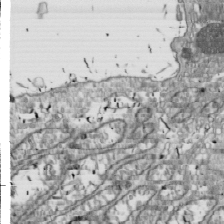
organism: Drosophila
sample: Cell division; meiosis; drosophila spermatocytes